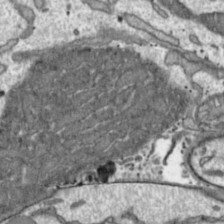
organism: Toxoplasma gondii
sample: Parasites in a vacuole inside a host cell